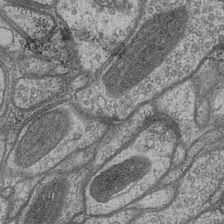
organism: Drosophila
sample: Optic medulla